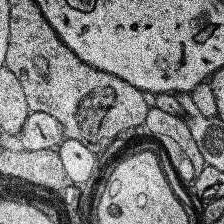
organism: Human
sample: Temporal Lobe